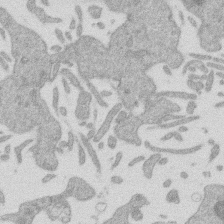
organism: Mouse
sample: Dividing mouse embryo 1 cell stage